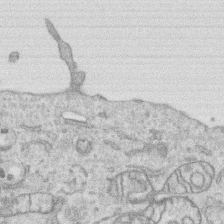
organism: Human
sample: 1205lu cells